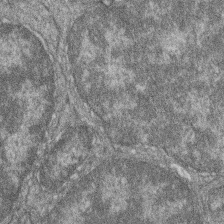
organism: Zebrafish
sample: Cilia; retinal pigment epithelium